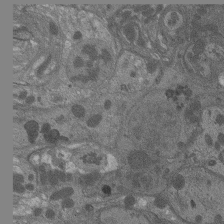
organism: Drosophila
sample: Antenna